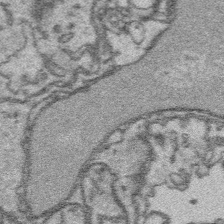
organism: Platynereis dumerilii